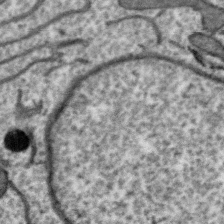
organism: Zebra finch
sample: Brain